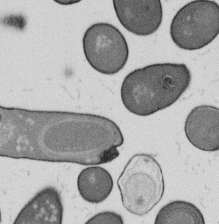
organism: B. subtilis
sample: Bacterial spore